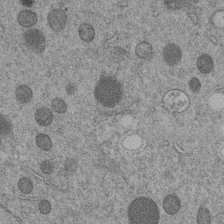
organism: C. elegans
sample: C. elegans embryo early stage